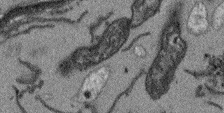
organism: Arabidopsis thaliana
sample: Root tip